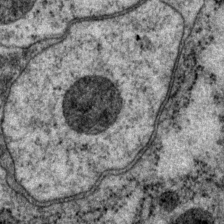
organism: P. pacificus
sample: Pharynx